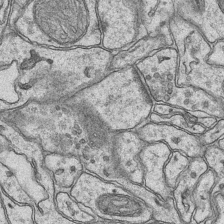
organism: Mouse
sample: CA1 Hippocampus